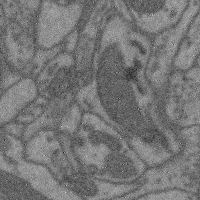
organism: Mouse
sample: Cerebral cortex